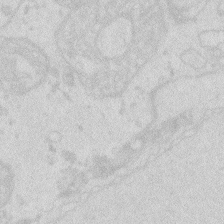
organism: Zebrafish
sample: Macrophage